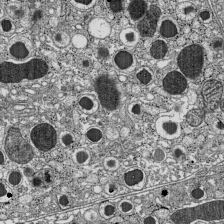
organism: C57BL Mouse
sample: Pancreatic islet